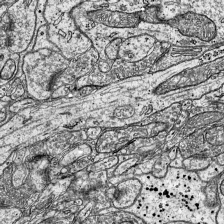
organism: Mouse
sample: Visual Cortex